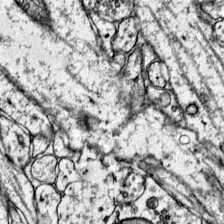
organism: Mouse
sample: Primary visual cortex